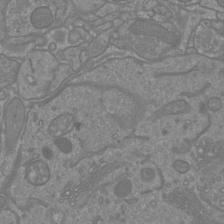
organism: Mouse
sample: Cortical neurons